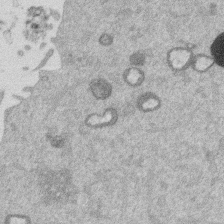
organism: Mouse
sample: Dividing mouse embryo 1 cell stage